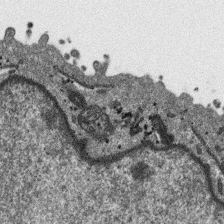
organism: Human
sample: Lung epithelial cells infected with SARS-CoV-2